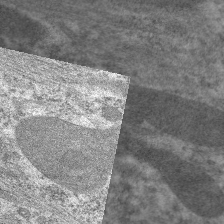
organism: C. elegans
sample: Pharynx